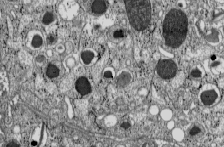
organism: C57BL Mouse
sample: Pancreatic islet